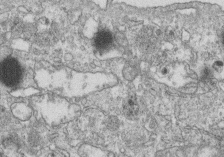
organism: Human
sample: HeLa cell HIV synapse